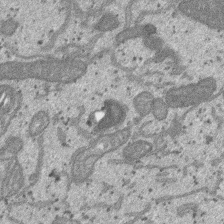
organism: Human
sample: Lung epithelial cells infected with SARS-CoV-2